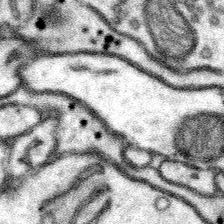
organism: Mouse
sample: Somatosensory cortex neuropil